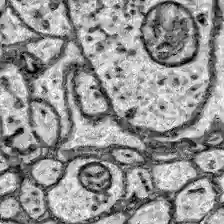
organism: Zebrafish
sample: Brain